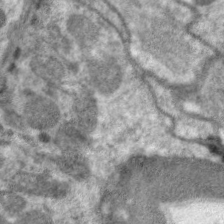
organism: C. elegans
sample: Pharynx